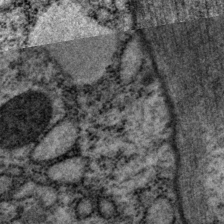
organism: P. pacificus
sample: Pharynx